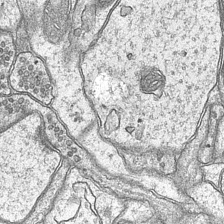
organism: Mouse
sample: CA1 Hippocampus